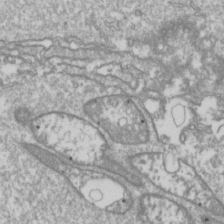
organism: Drosophila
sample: Cell division; meiosis; drosophila spermatocytes